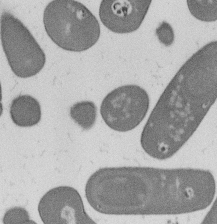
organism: B. subtilis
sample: Bacterial spore